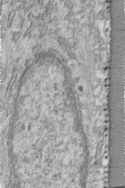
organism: Human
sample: Centriole in fibroblast cells